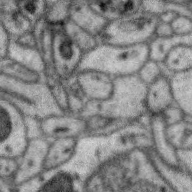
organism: Zebra finch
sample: Brain